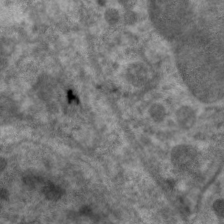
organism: C. elegans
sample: Pharynx